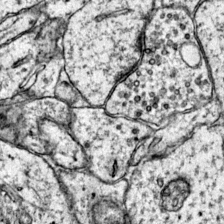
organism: Mouse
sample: Primary visual cortex